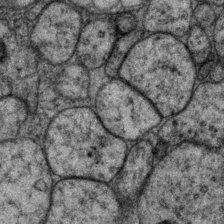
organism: P. pacificus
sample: Pharynx